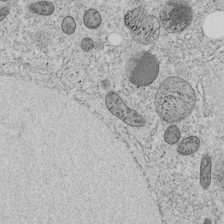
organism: C. elegans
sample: C. elegans embryo early stage